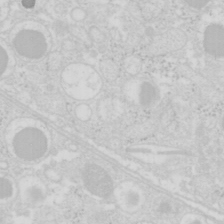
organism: Mouse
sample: Pancreas